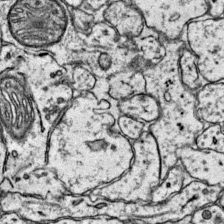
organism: Mouse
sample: Primary visual cortex